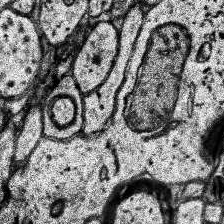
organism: Human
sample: Temporal Lobe